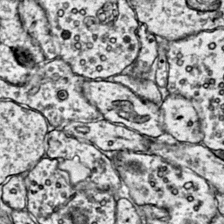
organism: Mouse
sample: Primary visual cortex